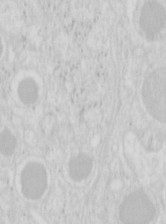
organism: Mouse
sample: Pancreas